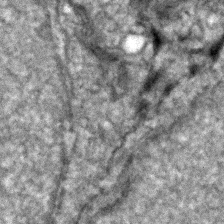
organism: Zebrafish